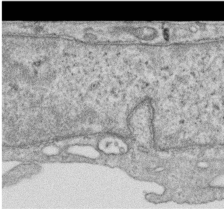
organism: Human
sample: Centriole in RPE cells